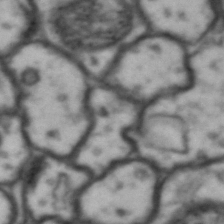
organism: Drosophila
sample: Brain